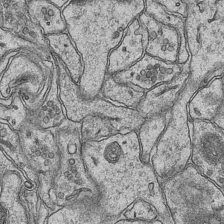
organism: Mouse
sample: CA1 Hippocampus